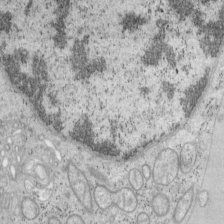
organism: Mouse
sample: OT-I killer T cells with ID8 ovarian cancer cells